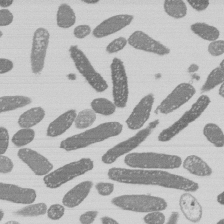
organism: E. coli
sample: Bacterial nucleoid